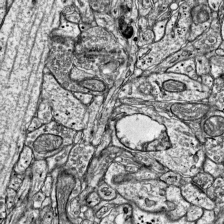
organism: Mouse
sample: Visual Cortex